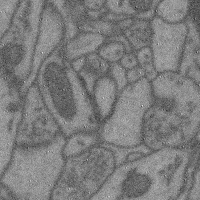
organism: Mouse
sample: Cerebral cortex